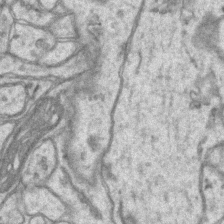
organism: Mouse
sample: CA1 Hippocampus